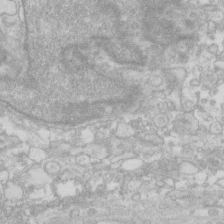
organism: Human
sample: Fibroblast cells